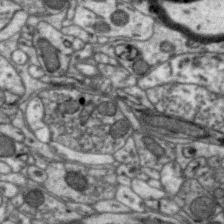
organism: Zebra finch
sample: Brain